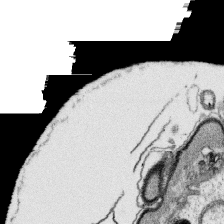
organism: Platynereis dumerilii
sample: Parapodia